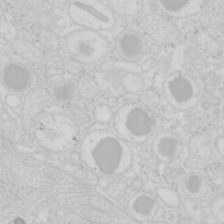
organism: Mouse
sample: Pancreas